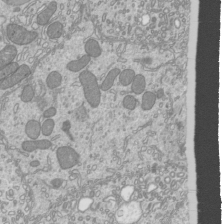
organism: Mouse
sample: Cilia; mouse epididymis